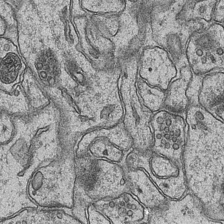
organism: Mouse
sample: CA1 Hippocampus